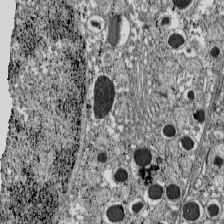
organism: C57BL Mouse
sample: Pancreatic islet